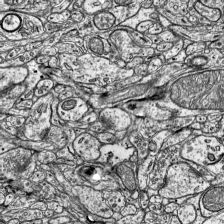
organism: Mouse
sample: Visual Cortex